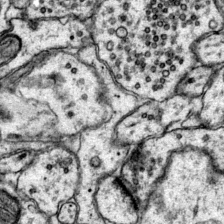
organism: Mouse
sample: Primary visual cortex